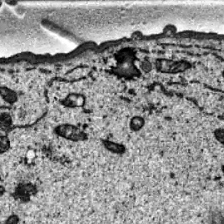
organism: Human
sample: HeLa cells